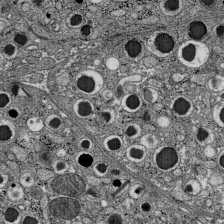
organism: C57BL Mouse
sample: Pancreatic islet